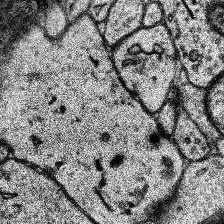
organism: Human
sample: Temporal Lobe